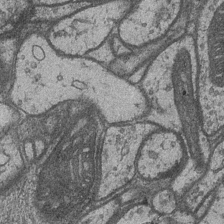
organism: Drosophila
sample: Optic medulla